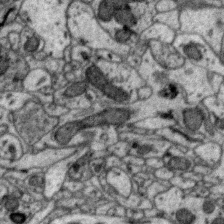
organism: Zebra finch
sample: Brain